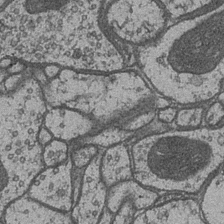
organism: Drosophila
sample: Optic medulla